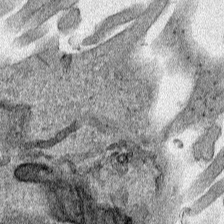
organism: Human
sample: Mitochondria in HCT116 cells